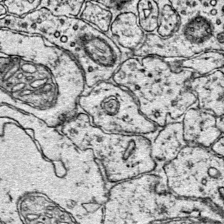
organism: Mouse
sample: Primary visual cortex